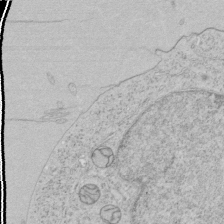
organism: Human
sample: Mitochondria in HCT116 cells